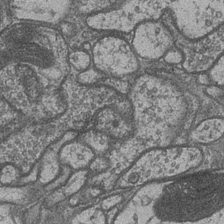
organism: Drosophila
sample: Optic medulla